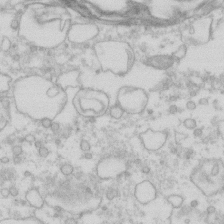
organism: Human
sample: Fibroblast cells